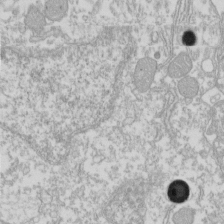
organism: Xenopus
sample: Cilia; centrioles in frog embryo cells